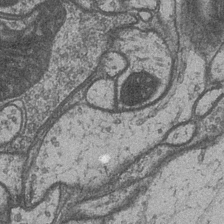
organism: Drosophila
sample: Optic medulla